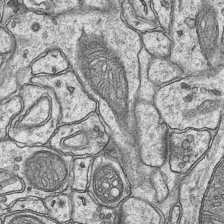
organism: Mouse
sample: CA1 Hippocampus